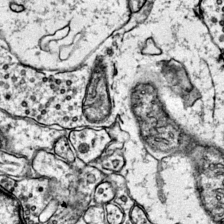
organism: Mouse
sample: Primary visual cortex